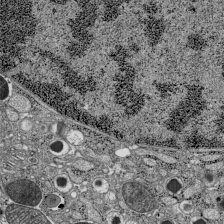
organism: C57BL Mouse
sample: Pancreatic islet